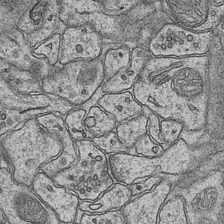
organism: Mouse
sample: CA1 Hippocampus